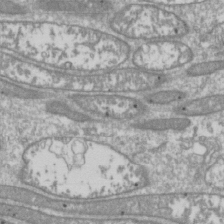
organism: Drosophila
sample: Cell division; meiosis; drosophila spermatocytes